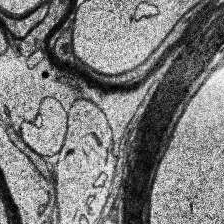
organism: Human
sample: Temporal Lobe